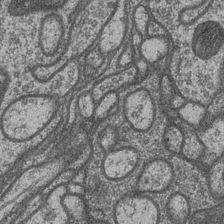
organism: Drosophila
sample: Optic medulla